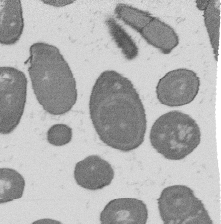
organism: B. subtilis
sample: Bacterial spore